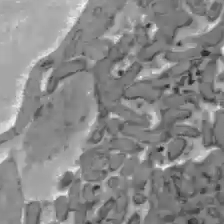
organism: C57BL Mouse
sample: Liver